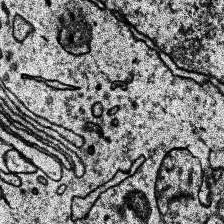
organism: Human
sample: Temporal Lobe